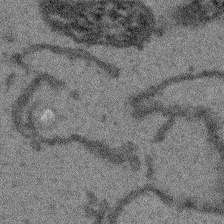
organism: Arabidopsis thaliana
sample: Root tip